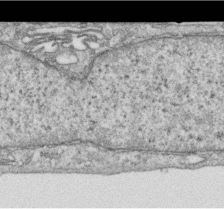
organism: Human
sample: Centriole in RPE cells